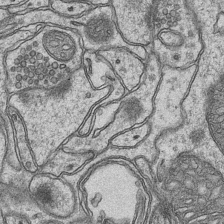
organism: Mouse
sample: CA1 Hippocampus